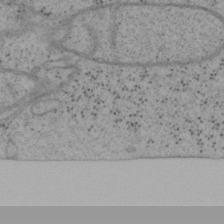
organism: Human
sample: HeLa cells